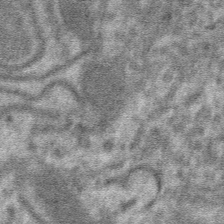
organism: Mouse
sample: Mouse hepatocytes